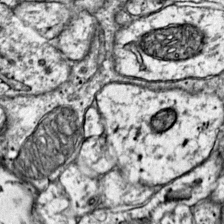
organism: Mouse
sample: Primary visual cortex